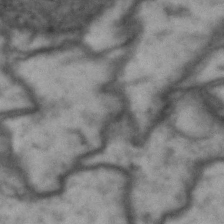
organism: Drosophila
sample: Brain